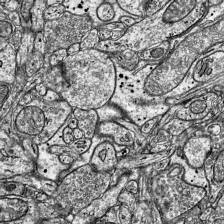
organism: Mouse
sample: Visual Cortex